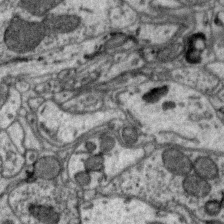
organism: Zebra finch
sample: Brain